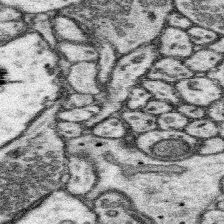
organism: Mouse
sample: Somatosensory cortex neuropil